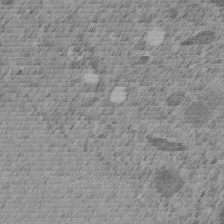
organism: C. elegans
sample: C. elegans embryo early stage